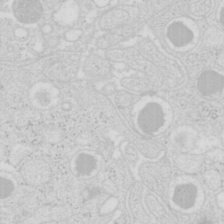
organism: Mouse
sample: Pancreas